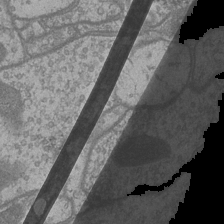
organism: Drosophila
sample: Optic medulla